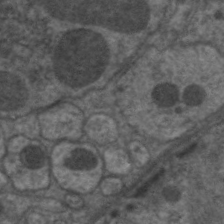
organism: C. elegans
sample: Pharynx